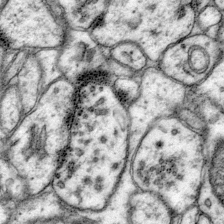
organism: Mouse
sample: Primary visual cortex